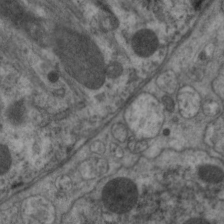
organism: C. elegans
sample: Pharynx